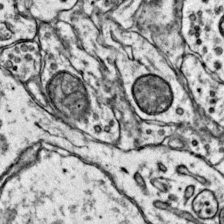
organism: Mouse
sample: Primary visual cortex